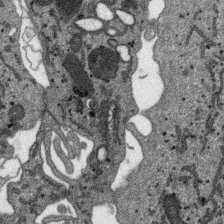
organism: Human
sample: Lung epithelial cells infected with SARS-CoV-2